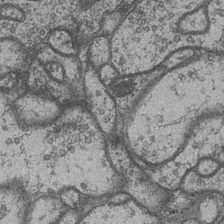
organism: Drosophila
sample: Optic medulla